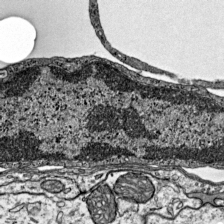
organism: Mouse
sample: Visual Cortex